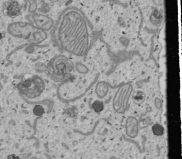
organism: Human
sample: Mitochondria in U2OS cells